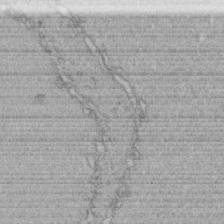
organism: C. elegans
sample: C. elegans embryo early stage